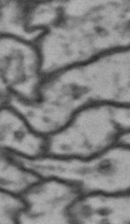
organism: Drosophila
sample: Brain